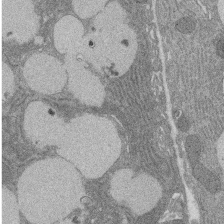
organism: Rat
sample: Salivary granule